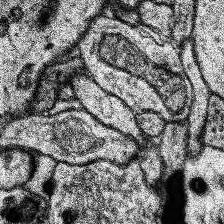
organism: Human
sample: Temporal Lobe